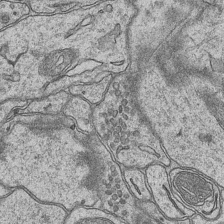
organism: Mouse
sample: CA1 Hippocampus